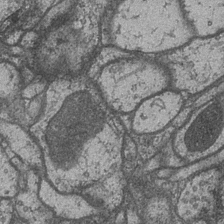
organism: Drosophila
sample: Optic medulla